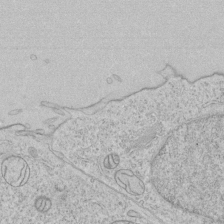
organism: Human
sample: Mitochondria in HCT116 cells